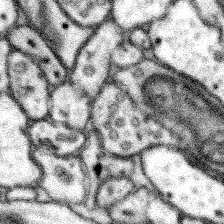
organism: Mouse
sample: Somatosensory cortex neuropil